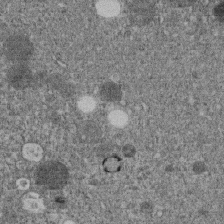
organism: C. elegans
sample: C. elegans embryo early stage